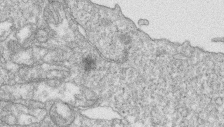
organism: Human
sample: HeLa cell HIV synapse